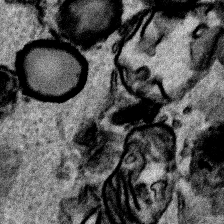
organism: Human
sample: Mitochondria in HCT116 cells